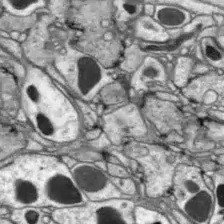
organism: Drosophila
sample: Optic lobe